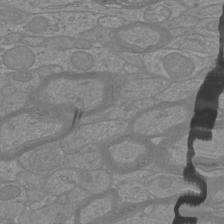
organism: Mouse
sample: Cortical neurons